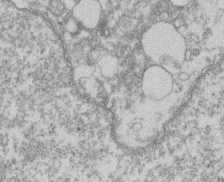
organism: Mouse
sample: T cell stromal cell synapse